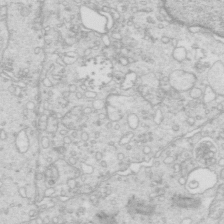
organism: Mouse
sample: Multiciliated cells